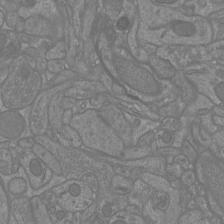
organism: Mouse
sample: Cortical neurons